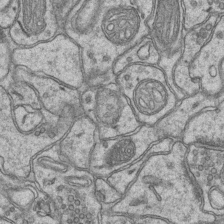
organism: Mouse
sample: CA1 Hippocampus